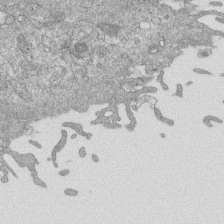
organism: Human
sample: HeLa cell HIV synapse